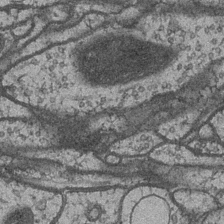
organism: Drosophila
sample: Optic medulla